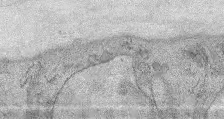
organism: Mouse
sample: Corneal nerves